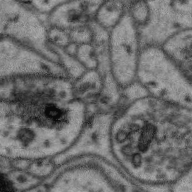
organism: Zebra finch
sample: Brain